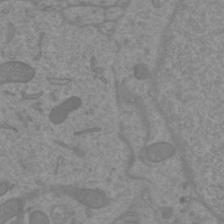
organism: Mouse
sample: Cortical neurons